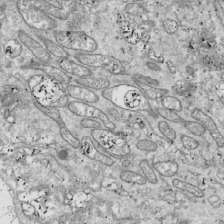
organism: Drosophila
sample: Cell division; meiosis; drosophila spermatocytes